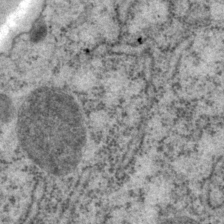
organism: P. pacificus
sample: Pharynx